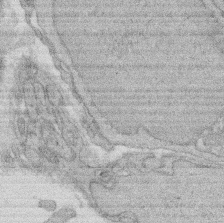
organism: Rat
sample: Salivary granule